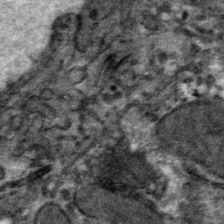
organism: Mouse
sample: Mouse hepatocytes